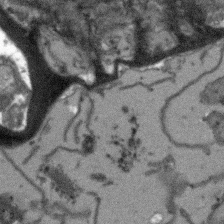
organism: Arabidopsis thaliana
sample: Root tip